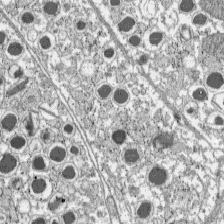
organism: C57BL Mouse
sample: Pancreatic islet